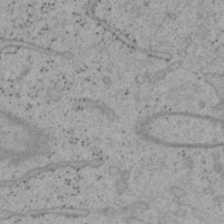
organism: Human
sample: HeLa cells